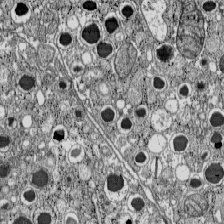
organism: C57BL Mouse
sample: Pancreatic islet